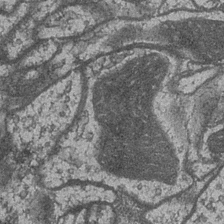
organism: Drosophila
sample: Optic medulla